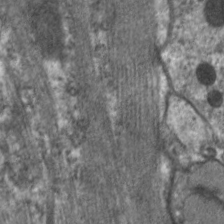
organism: C. elegans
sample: Pharynx